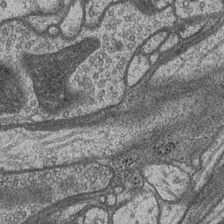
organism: Drosophila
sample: Optic medulla